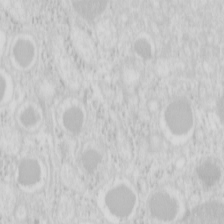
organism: Mouse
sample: Pancreas